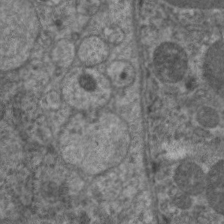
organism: C. elegans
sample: Pharynx